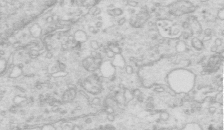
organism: Mouse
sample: Multiciliated cells